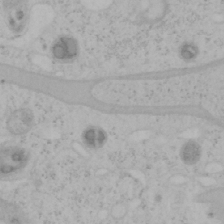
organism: Mouse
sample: OT-I killer T cells with ID8 ovarian cancer cells